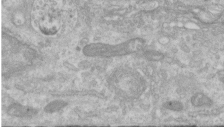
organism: Human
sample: Centriole in RPE cells